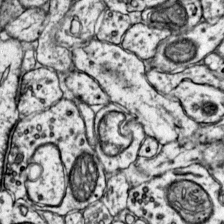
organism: Mouse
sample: Primary visual cortex